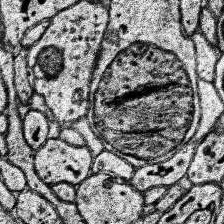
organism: Human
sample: Temporal Lobe